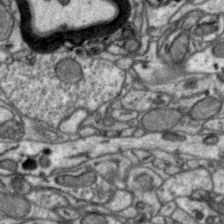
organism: Zebra finch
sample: Brain